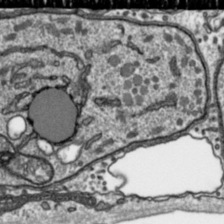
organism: Toxoplasma gondii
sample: Parasites in a vacuole inside a host cell